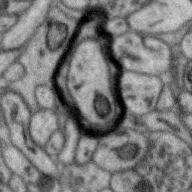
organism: Zebra finch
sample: Brain